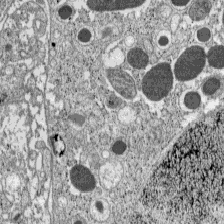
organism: C57BL Mouse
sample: Pancreatic islet